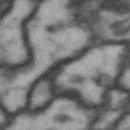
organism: Drosophila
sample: Brain